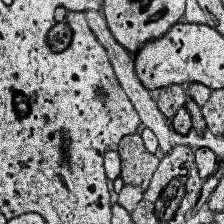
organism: Human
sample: Temporal Lobe